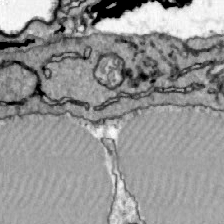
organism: Zebrafish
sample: Actinotrichia fibers